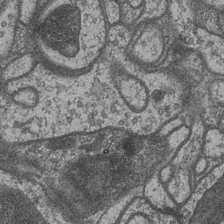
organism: Drosophila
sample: Optic medulla